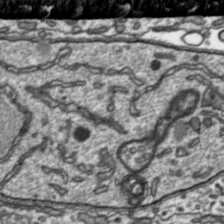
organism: Toxoplasma gondii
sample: Parasites in a vacuole inside a host cell